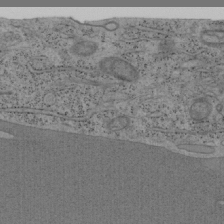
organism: Human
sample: HeLa cells